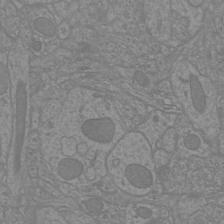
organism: Mouse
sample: Cortical neurons